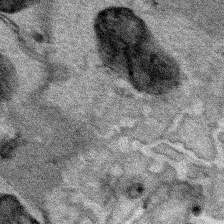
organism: Human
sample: Mitochondria in HCT116 cells